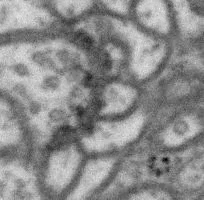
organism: Drosophila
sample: Protocerebral bridge